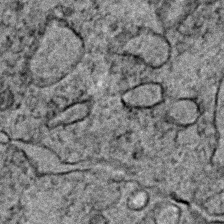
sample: Trachea